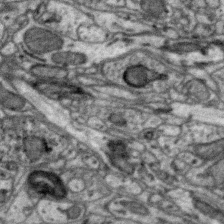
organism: Zebra finch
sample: Brain